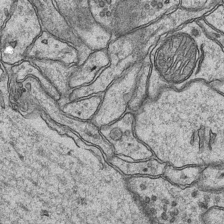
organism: Mouse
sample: CA1 Hippocampus